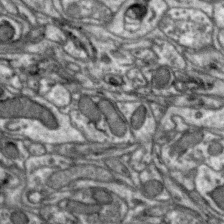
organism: Zebra finch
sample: Brain